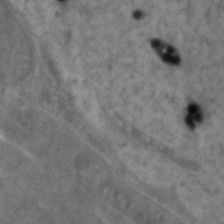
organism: Zebrafish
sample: Zebrafish embryo